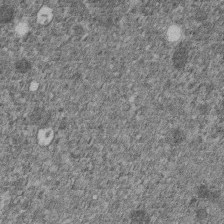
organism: C. elegans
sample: C. elegans embryo early stage